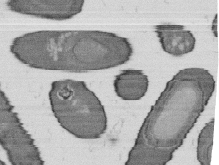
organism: B. subtilis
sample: Bacterial spore